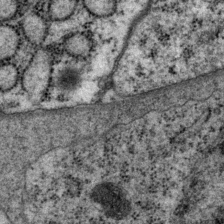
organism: P. pacificus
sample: Pharynx